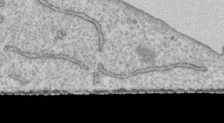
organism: Human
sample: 1205lu cells